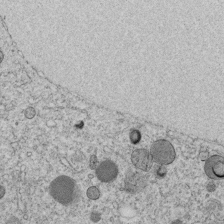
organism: C. elegans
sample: C. elegans embryo early stage